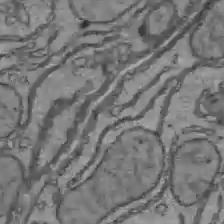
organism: C57BL Mouse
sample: Liver